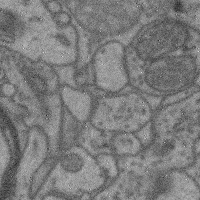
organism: Mouse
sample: Cerebral cortex